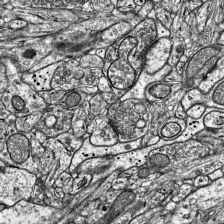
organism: Mouse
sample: Visual Cortex